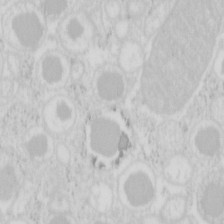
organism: Mouse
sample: Pancreas